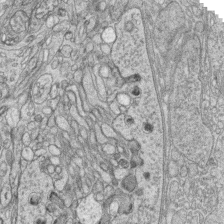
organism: Zebrafish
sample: synaptic ribbons in rod cells and cone cells